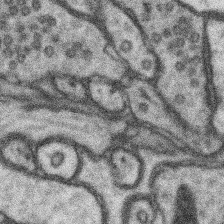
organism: Mouse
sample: Somatosensory cortex neuropil